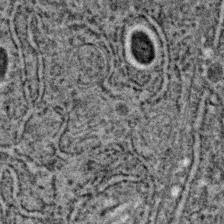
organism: C. elegans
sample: C. elegans embryo